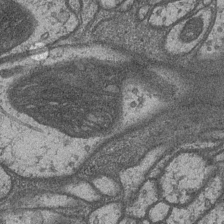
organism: Drosophila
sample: Optic medulla